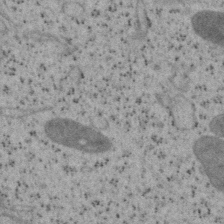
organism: Human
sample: HeLa cells